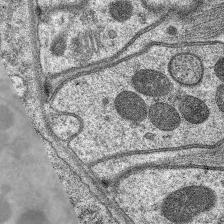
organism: C. elegans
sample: Pharynx